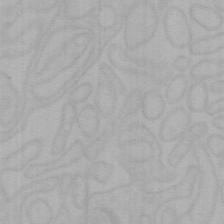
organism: Mouse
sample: Choroid plexus